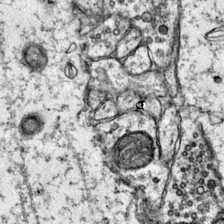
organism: Mouse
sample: Primary visual cortex